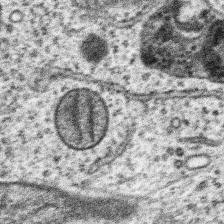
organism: Human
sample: HeLa cells